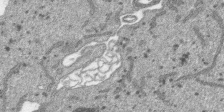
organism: Human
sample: Lung epithelial cells infected with SARS-CoV-2